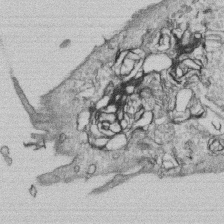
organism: Human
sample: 1205lu cells